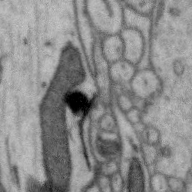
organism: Zebra finch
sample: Brain